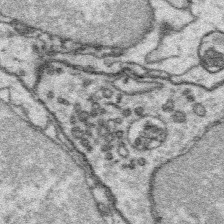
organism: Platynereis dumerilii